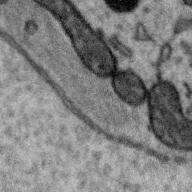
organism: Zebra finch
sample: Brain